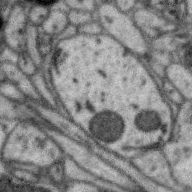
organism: Zebra finch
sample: Brain